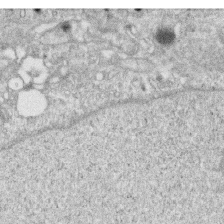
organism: Human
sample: HeLa cell HIV synapse